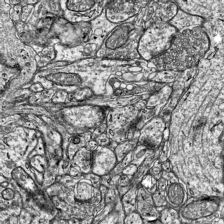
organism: Mouse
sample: Visual Cortex